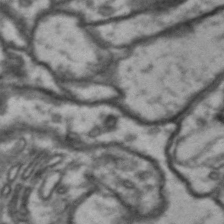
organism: Drosophila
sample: Brain